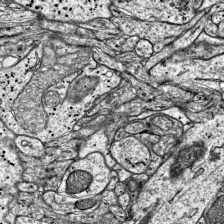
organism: Mouse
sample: Visual Cortex